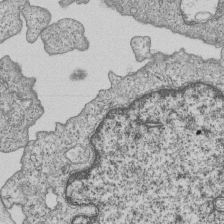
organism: Human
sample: MDA-MB-231 cells